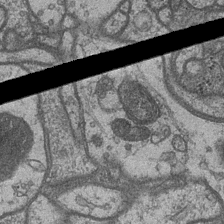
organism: Drosophila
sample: Optic medulla